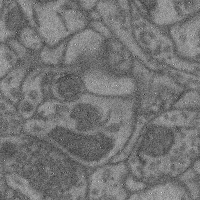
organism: Mouse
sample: Cerebral cortex